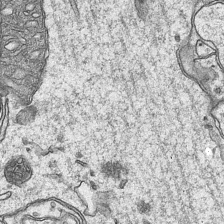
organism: Mouse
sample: CA1 Hippocampus